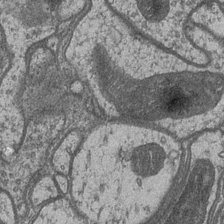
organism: Drosophila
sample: Optic medulla